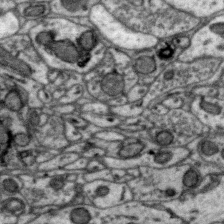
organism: Zebra finch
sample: Brain